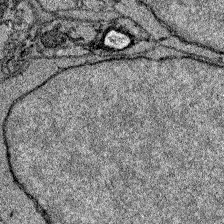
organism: Zebrafish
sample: Larval olfactory bulb